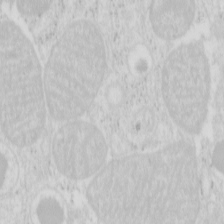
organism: Mouse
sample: Pancreas